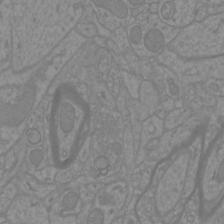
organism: Mouse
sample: Cortical neurons